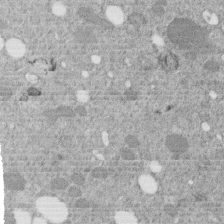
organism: C. elegans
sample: C. elegans embryo early stage